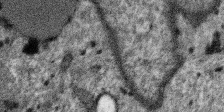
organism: Human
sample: Lung epithelial cells infected with SARS-CoV-2